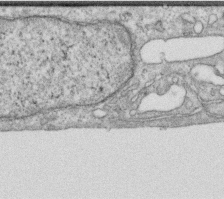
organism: Human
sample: Centriole in RPE cells